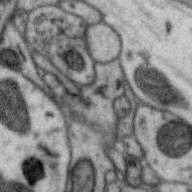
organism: Zebra finch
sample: Brain